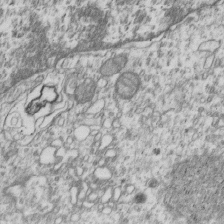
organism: Human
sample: MDA-MB-231 cells